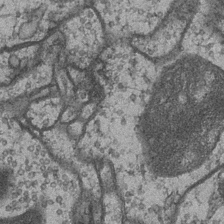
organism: Drosophila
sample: Optic medulla